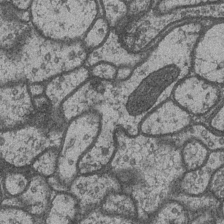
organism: Drosophila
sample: Optic medulla